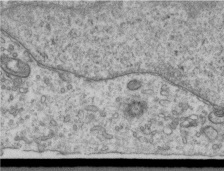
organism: Human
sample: Centriole in RPE cells